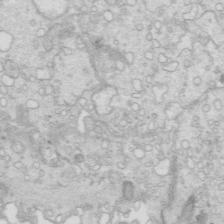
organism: Mouse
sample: Multiciliated cells